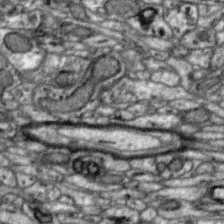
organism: Zebra finch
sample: Brain